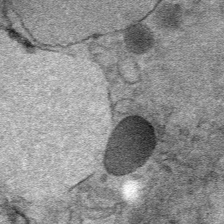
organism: Mouse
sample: Mouse Salivary gland